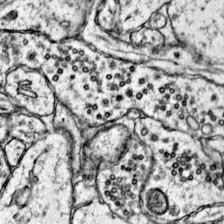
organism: Mouse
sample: Primary visual cortex